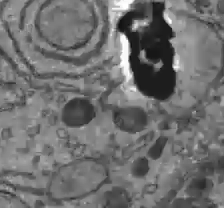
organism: C57BL Mouse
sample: Liver